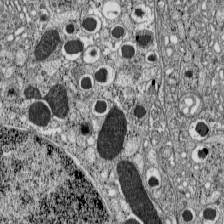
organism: C57BL Mouse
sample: Pancreatic islet